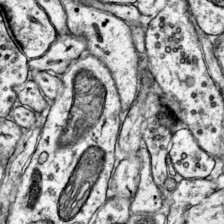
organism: Mouse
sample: Primary visual cortex